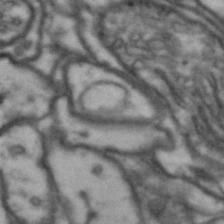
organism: Drosophila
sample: Brain